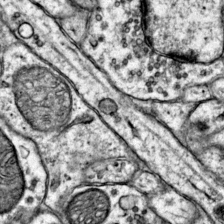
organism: Mouse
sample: Primary visual cortex